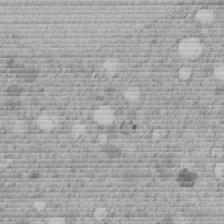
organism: C. elegans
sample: C. elegans embryo early stage